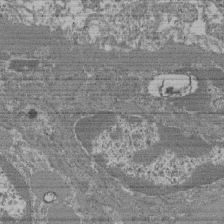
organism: Mouse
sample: Glomerulus